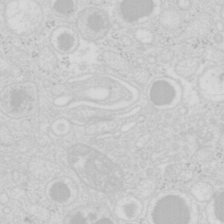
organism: Mouse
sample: Pancreas